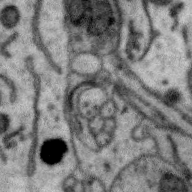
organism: Zebra finch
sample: Brain